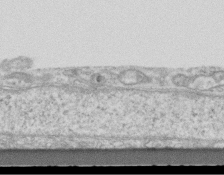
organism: Mouse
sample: Centriole in ependymal cells